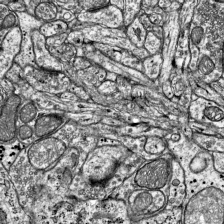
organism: Mouse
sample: Visual Cortex